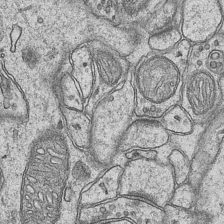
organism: Mouse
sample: CA1 Hippocampus